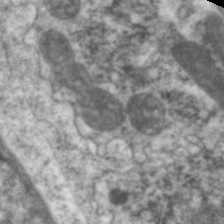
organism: C. elegans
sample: Pharynx